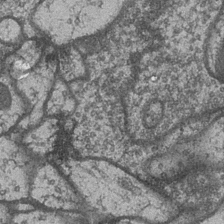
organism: Drosophila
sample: Optic medulla